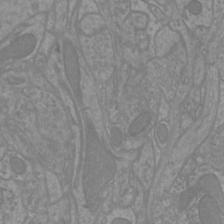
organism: Mouse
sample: Cortical neurons